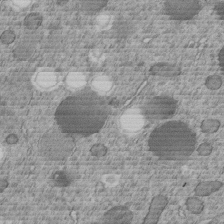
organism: C. elegans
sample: C. elegans embryo early stage